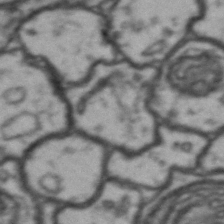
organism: Drosophila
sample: Brain